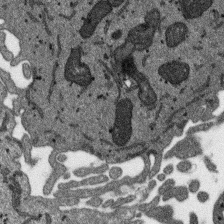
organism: Human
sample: Lung epithelial cells infected with SARS-CoV-2